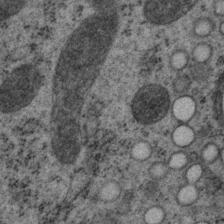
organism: P. pacificus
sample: Pharynx